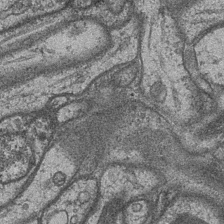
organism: Drosophila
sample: Optic medulla